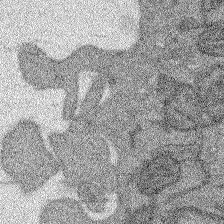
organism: Human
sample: HeLa cells